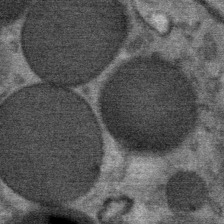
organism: Mouse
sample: Mouse Salivary gland